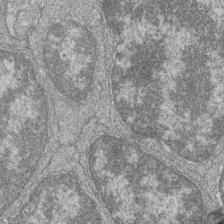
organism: Zebrafish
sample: Cilia; retinal pigment epithelium